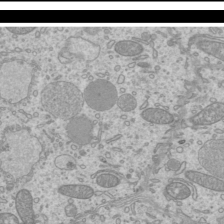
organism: Mouse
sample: Cilia; mouse epididymis